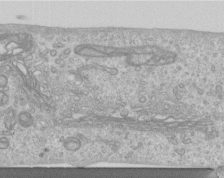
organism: Human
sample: Centriole in RPE cells